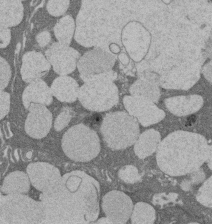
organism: Rat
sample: Salivary granule